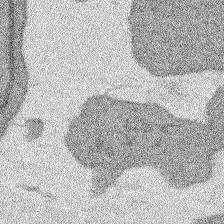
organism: Human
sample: HeLa cells